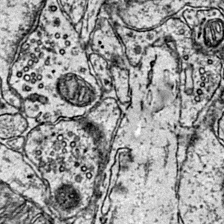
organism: Mouse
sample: Primary visual cortex